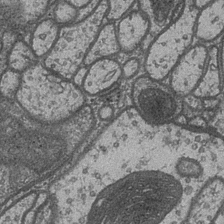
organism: Drosophila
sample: Optic medulla